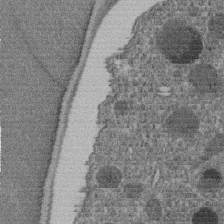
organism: C. elegans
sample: C. elegans embryo early stage